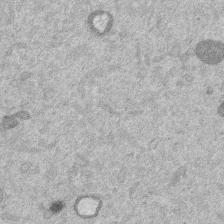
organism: Mouse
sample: Dividing mouse embryo 1 cell stage